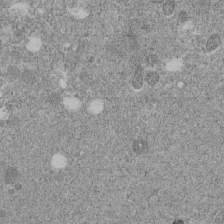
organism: C. elegans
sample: C. elegans embryo early stage